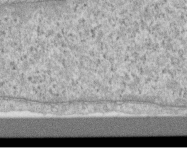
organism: Human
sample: Centriole in RPE cells